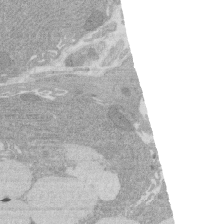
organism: Rat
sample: Salivary granule